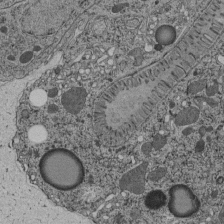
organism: C. elegans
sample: C. elegans pharynx